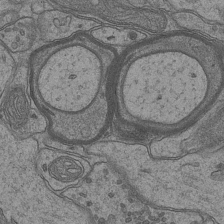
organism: Mouse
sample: CA1 Hippocampus